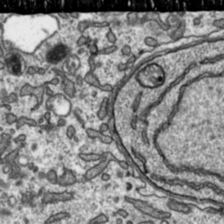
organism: Toxoplasma gondii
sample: Parasites in a vacuole inside a host cell